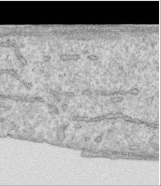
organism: Human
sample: Centriole in RPE cells